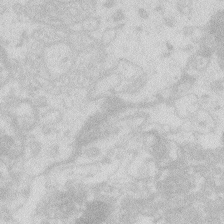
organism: Zebrafish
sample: Macrophage